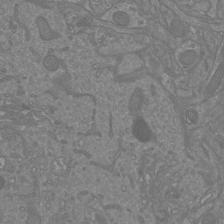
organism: Mouse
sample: Cortical neurons